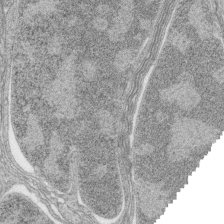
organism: Zebrafish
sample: synaptic ribbons in rod cells and cone cells